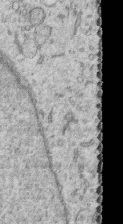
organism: Human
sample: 1205lu cells